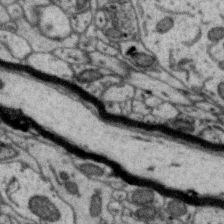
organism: Zebra finch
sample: Brain